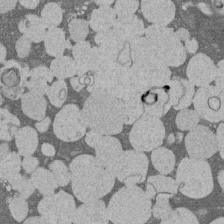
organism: Rat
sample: Salivary granule